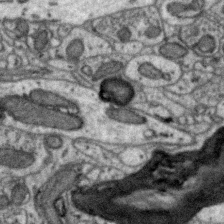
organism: Zebra finch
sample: Brain